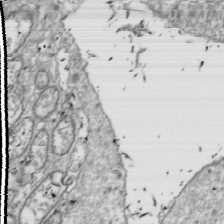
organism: Drosophila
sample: Cell division; meiosis; drosophila spermatocytes